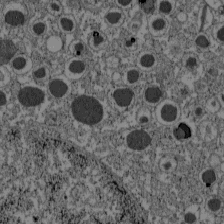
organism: C57BL Mouse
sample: Pancreatic islet